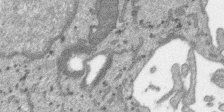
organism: Human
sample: Lung epithelial cells infected with SARS-CoV-2